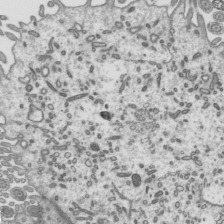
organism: Mouse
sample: Mouse epididymis efferent ductule cilia